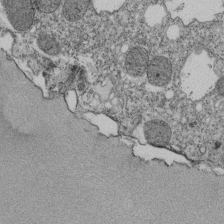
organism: Tetrahymena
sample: Cilia in tetrahymena